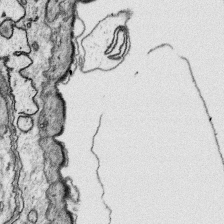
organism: Platynereis dumerilii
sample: Parapodia